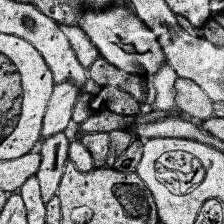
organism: Human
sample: Temporal Lobe